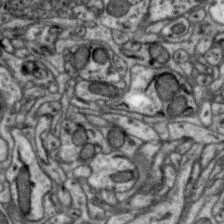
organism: Zebra finch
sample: Brain